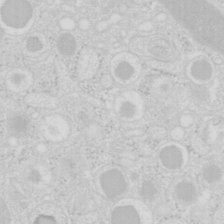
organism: Mouse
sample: Pancreas